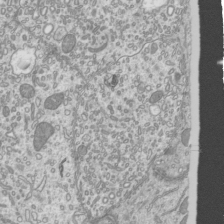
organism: Mouse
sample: Cilia; mouse epididymis